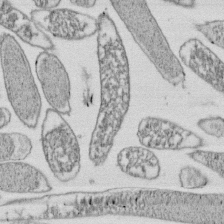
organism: E. coli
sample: Bacterial nucleoid